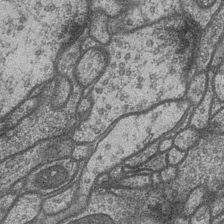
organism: Drosophila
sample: Optic medulla